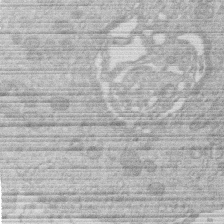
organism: Human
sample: Macrophage cells